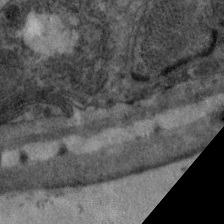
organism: C. elegans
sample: Pharynx